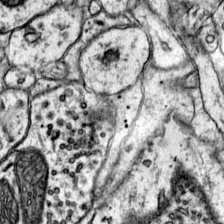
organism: Mouse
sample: Primary visual cortex